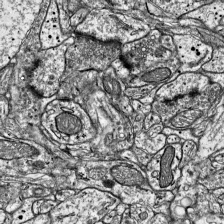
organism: Mouse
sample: Visual Cortex